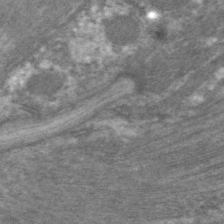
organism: C. elegans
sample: Pharynx